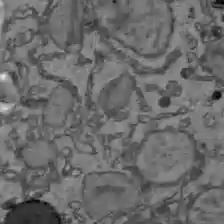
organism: C57BL Mouse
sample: Liver